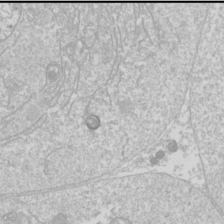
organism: Drosophila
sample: Cell division; meiosis; drosophila spermatocytes